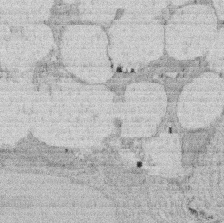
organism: Rat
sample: Salivary granule